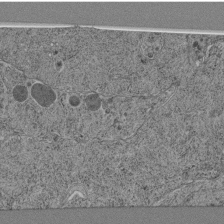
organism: C. elegans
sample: C. elegans pharynx